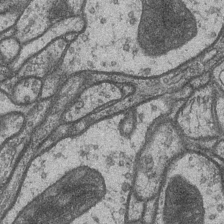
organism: Drosophila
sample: Optic medulla